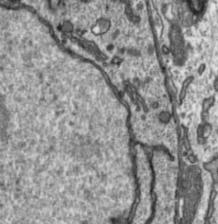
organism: Toxoplasma gondii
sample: Parasites in a vacuole inside a host cell